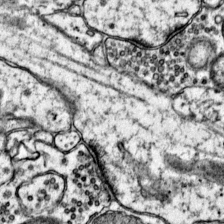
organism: Mouse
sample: Primary visual cortex